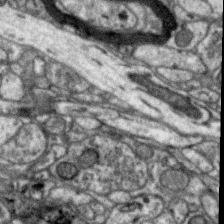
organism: Zebra finch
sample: Brain